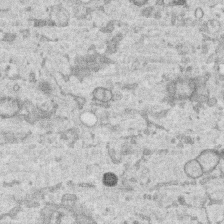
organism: Human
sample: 1205lu cells